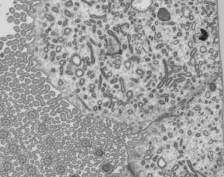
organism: Mouse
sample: Mouse epididymis efferent ductule cilia